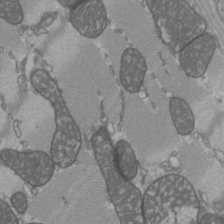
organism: C57BL Mouse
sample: Heart